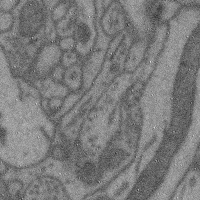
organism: Mouse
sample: Cerebral cortex